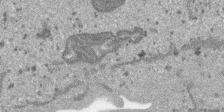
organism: Human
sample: Lung epithelial cells infected with SARS-CoV-2